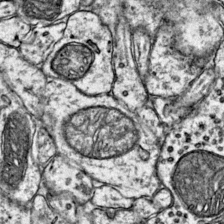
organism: Mouse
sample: Primary visual cortex